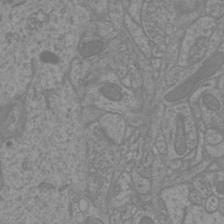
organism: Mouse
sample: Cortical neurons